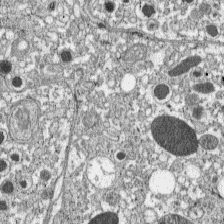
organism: C57BL Mouse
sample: Pancreatic islet